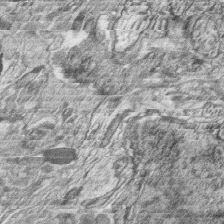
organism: Zebrafish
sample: synaptic ribbons in rod cells and cone cells